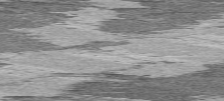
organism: C57BL Mouse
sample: Heart